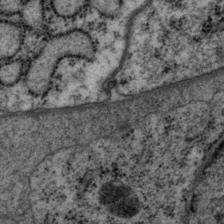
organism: P. pacificus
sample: Pharynx